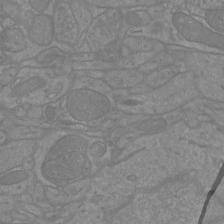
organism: Mouse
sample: Cortical neurons